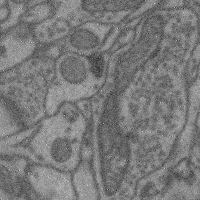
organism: Mouse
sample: Cerebral cortex